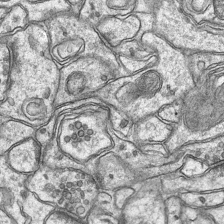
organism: Mouse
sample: CA1 Hippocampus